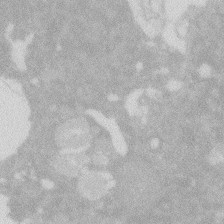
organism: Zebrafish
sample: Macrophage